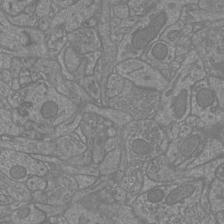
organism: Mouse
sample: Cortical neurons